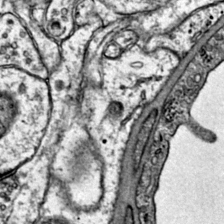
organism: Mouse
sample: Primary visual cortex